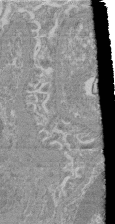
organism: Mouse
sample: Glomerulus